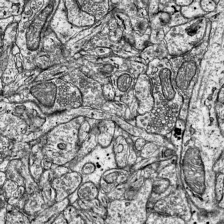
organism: Mouse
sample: Visual Cortex